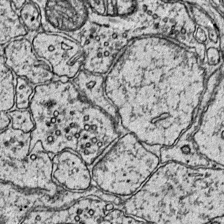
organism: Mouse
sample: Primary visual cortex